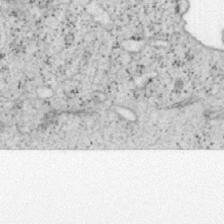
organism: Mouse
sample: OT-I killer T cells with ID8 ovarian cancer cells